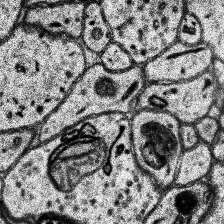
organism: Human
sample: Temporal Lobe